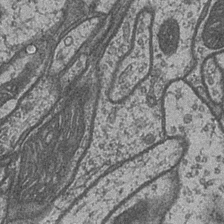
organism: Drosophila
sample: Optic medulla